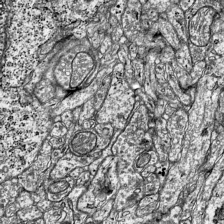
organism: Mouse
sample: Visual Cortex